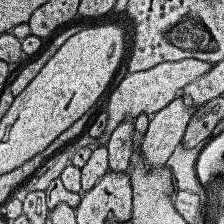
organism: Human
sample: Temporal Lobe